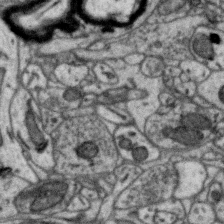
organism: Zebra finch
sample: Brain